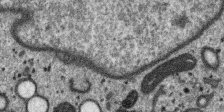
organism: Human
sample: Lung epithelial cells infected with SARS-CoV-2